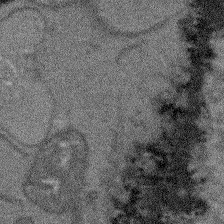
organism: Arabidopsis thaliana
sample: Root tip